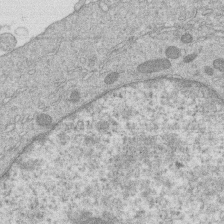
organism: Human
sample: Macrophage cells